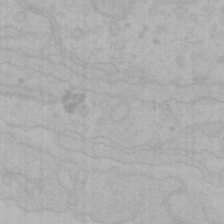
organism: Mouse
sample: Choroid plexus